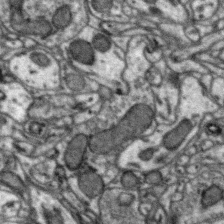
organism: Zebra finch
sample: Brain